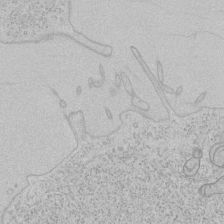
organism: Human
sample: Mitochondria in HCT116 cells